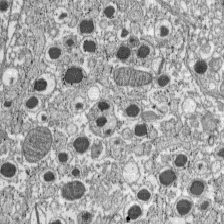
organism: C57BL Mouse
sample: Pancreatic islet